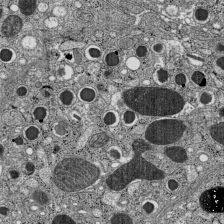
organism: C57BL Mouse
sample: Pancreatic islet